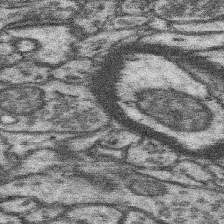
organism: Mouse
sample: Somatosensory cortex neuropil